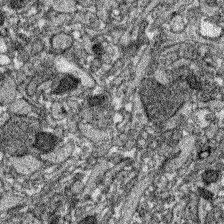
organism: Zebrafish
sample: Larval olfactory bulb